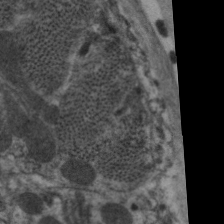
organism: C. elegans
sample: Pharynx